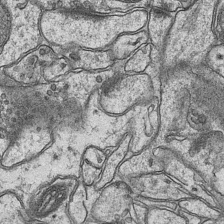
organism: Mouse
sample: CA1 Hippocampus